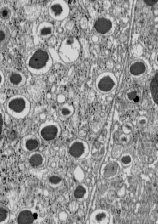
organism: C57BL Mouse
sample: Pancreatic islet